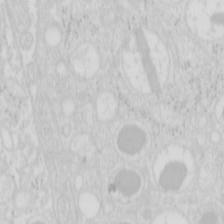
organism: Mouse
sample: Pancreas